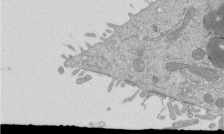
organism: Mouse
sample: ED-1 cell nuclei; centrioles